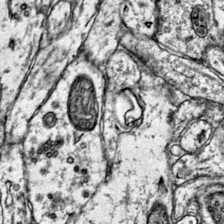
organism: Mouse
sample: Primary visual cortex